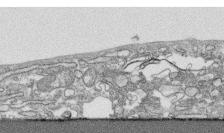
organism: Human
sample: CRL-1474